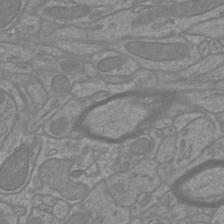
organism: Mouse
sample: Cortical neurons